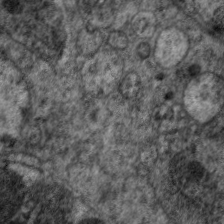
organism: C. elegans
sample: Pharynx